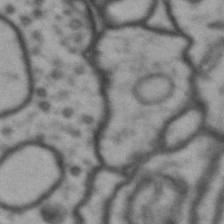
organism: Drosophila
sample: Brain